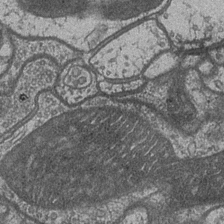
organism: Drosophila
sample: Optic medulla